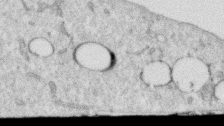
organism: Human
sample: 1205lu cells